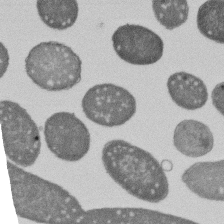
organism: E. coli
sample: Bacterial nucleoid